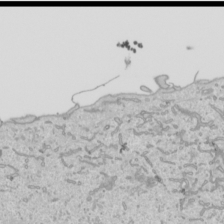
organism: Human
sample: Mitochondria in HCT116 cells